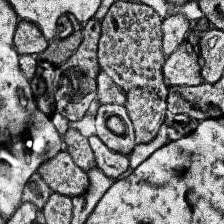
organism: Human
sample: Temporal Lobe